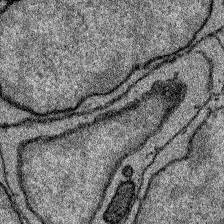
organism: Zebrafish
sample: Larval olfactory bulb